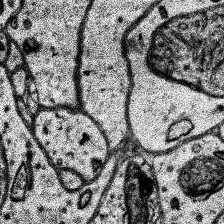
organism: Human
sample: Temporal Lobe